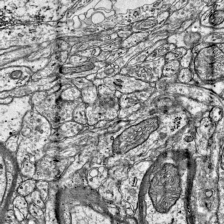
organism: Mouse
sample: Visual Cortex